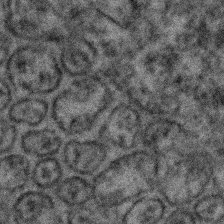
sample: Kidney